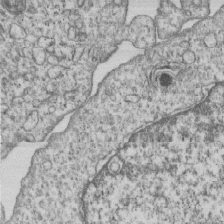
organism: Human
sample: MDA-MB-231 cells